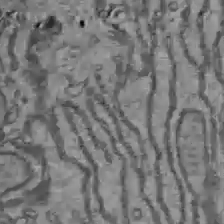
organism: C57BL Mouse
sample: Liver